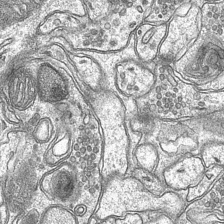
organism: Mouse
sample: CA1 Hippocampus